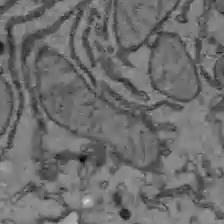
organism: C57BL Mouse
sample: Liver